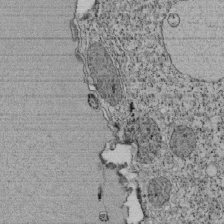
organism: Tetrahymena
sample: Cilia in tetrahymena